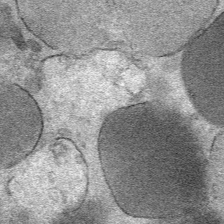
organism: Mouse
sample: Mouse Salivary gland